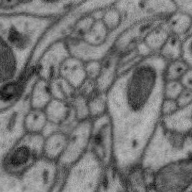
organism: Zebra finch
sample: Brain